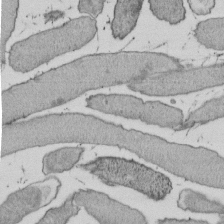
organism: E. coli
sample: Bacterial nucleoid